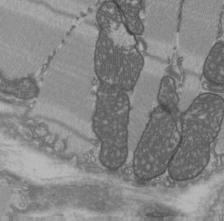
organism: C57BL Mouse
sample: Heart